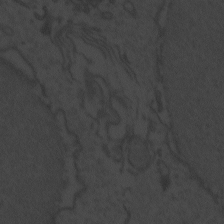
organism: Zebrafish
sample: Macrophage infected with Toxoplasma gondii